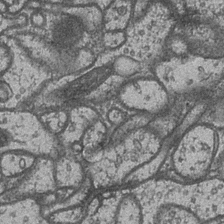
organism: Drosophila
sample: Optic medulla